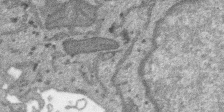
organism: Human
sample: Lung epithelial cells infected with SARS-CoV-2